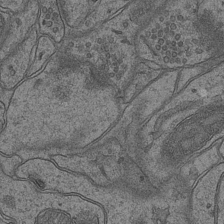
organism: Mouse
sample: CA1 Hippocampus